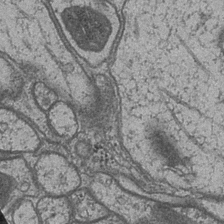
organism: Drosophila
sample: Optic medulla